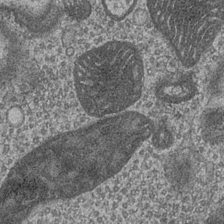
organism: Drosophila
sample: Optic medulla